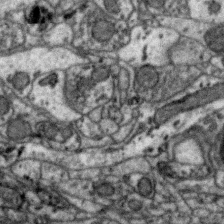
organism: Zebra finch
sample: Brain